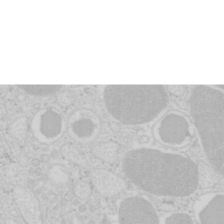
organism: Mouse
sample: Pancreas